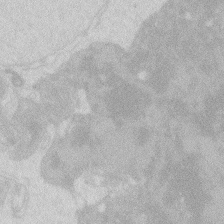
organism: Zebrafish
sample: Macrophage